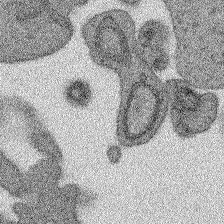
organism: Human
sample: HeLa cells